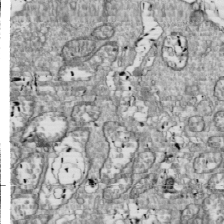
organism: Drosophila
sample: Cell division; meiosis; drosophila spermatocytes